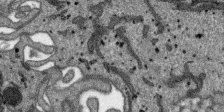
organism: Human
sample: Lung epithelial cells, uninfected (mock) control